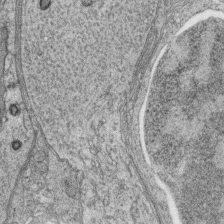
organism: Zebrafish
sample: synaptic ribbons in rod cells and cone cells